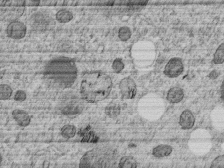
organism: C. elegans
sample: C. elegans embryo early stage